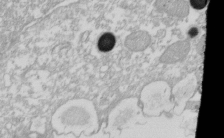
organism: Xenopus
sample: Cilia; centrioles in frog embryo cells